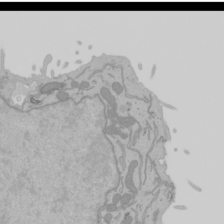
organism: Mouse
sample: Cancer cell death in ED-1 cells